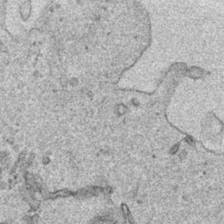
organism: Human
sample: Mitochondria in HCT116 cells